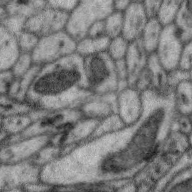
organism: Zebra finch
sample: Brain